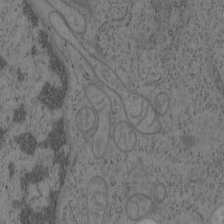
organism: Mouse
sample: OT-I killer T cells with ID8 ovarian cancer cells